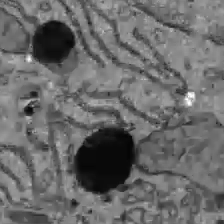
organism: C57BL Mouse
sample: Liver